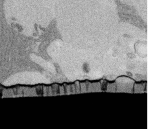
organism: Rat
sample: Salivary granule